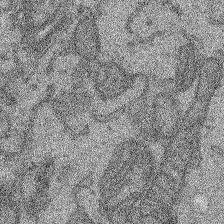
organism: Human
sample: HeLa cells